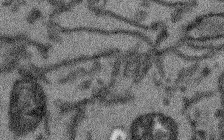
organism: Arabidopsis thaliana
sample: Root tip